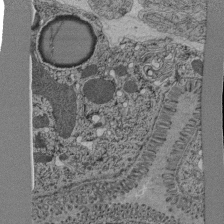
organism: C. elegans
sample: C. elegans pharynx